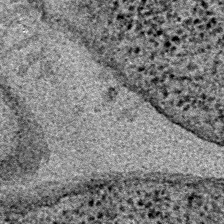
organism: E. coli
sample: E. Coli Bacteria